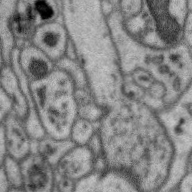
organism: Zebra finch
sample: Brain